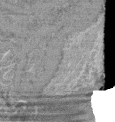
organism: Mouse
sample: Glomerulus